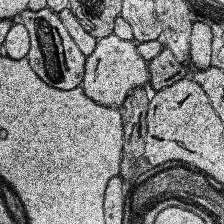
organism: Human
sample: Temporal Lobe